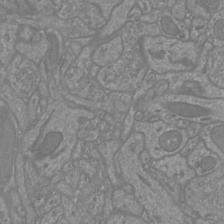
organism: Mouse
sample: Cortical neurons